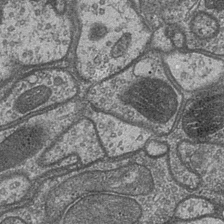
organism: Drosophila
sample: Optic medulla